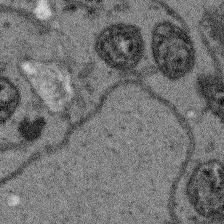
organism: Arabidopsis thaliana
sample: Root tip